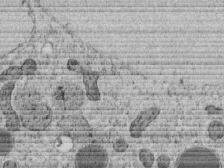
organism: C. elegans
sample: C. elegans embryo early stage